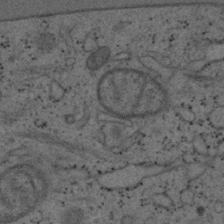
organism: Human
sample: HeLa cells